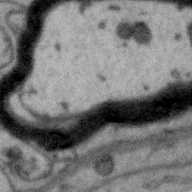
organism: Zebra finch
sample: Brain